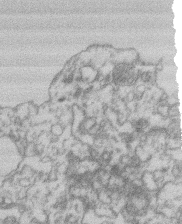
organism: Mouse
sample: T cell stromal cell synapse